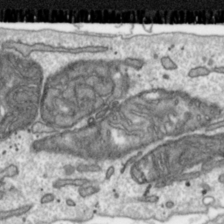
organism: Toxoplasma gondii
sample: Parasites in a vacuole inside a host cell